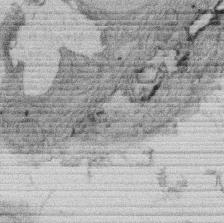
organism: Rat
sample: Salivary granule